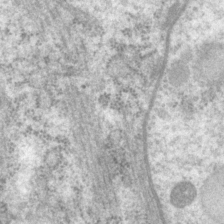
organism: P. pacificus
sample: Pharynx